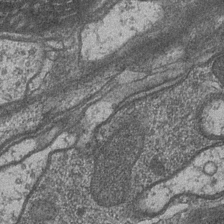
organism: Drosophila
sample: Optic medulla